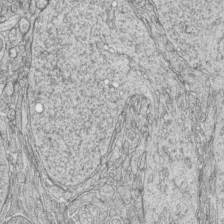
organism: Zebrafish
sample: synaptic ribbons in rod cells and cone cells